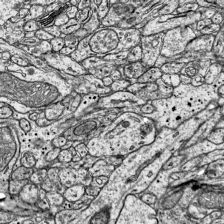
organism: Mouse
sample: Visual Cortex